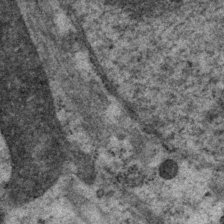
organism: P. pacificus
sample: Pharynx